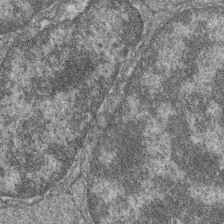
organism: Zebrafish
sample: Cilia; retinal pigment epithelium